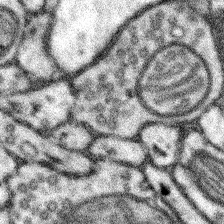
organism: Mouse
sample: Somatosensory cortex neuropil